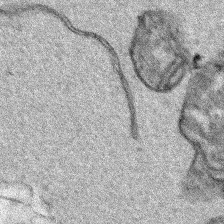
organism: Human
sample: Mitochondria in HCT116 cells